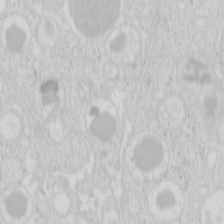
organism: Mouse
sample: Pancreas